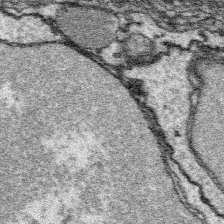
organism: Platynereis dumerilii